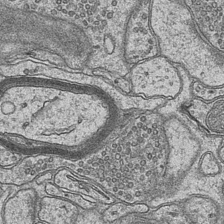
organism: Mouse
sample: CA1 Hippocampus